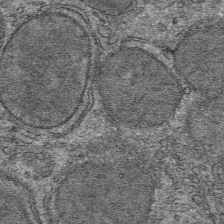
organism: Mouse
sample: Mouse hepatocytes